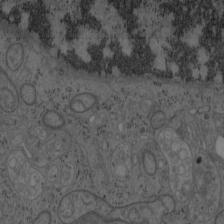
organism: Mouse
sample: OT-I killer T cells with ID8 ovarian cancer cells